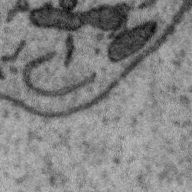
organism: Zebra finch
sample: Brain